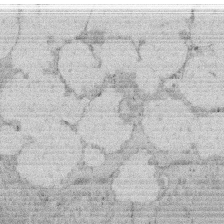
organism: Rat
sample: Salivary granule